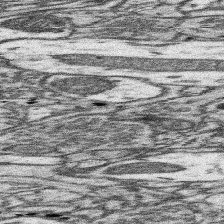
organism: Mouse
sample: Somatosensory cortex neuropil